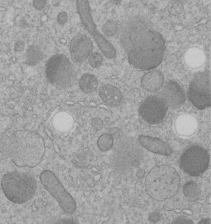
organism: C. elegans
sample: C. elegans embryo early stage